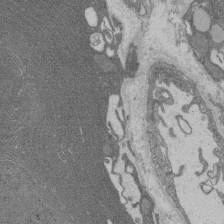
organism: Rat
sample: Salivary granule